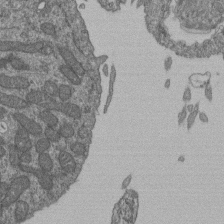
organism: Human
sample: Retinal organoid Rod and Cone cells